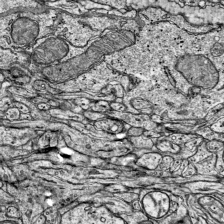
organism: Mouse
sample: Visual Cortex